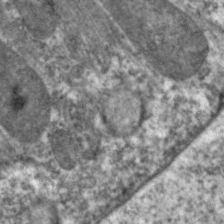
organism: C. elegans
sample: Pharynx